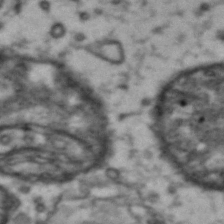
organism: Drosophila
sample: Brain